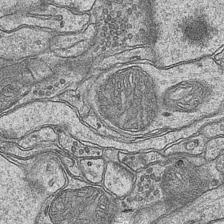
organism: Mouse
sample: CA1 Hippocampus